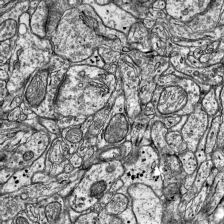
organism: Mouse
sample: Visual Cortex